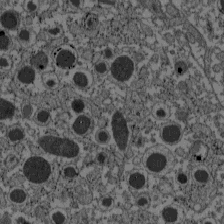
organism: C57BL Mouse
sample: Pancreatic islet